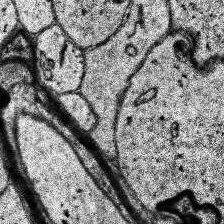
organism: Human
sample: Temporal Lobe